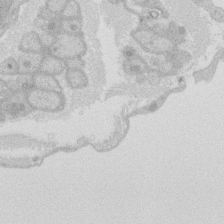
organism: Rat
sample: Salivary granule